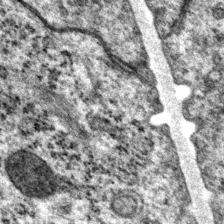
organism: P. pacificus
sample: Pharynx